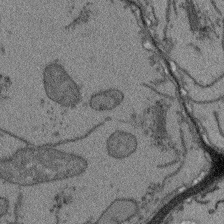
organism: Arabidopsis thaliana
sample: Root tip